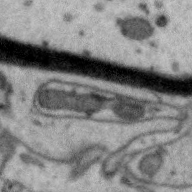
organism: Zebra finch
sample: Brain